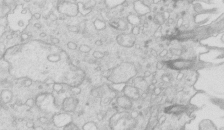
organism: Mouse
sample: Multiciliated cells